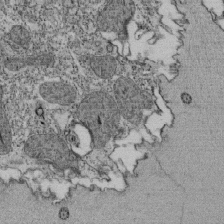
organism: Tetrahymena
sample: Cilia in tetrahymena